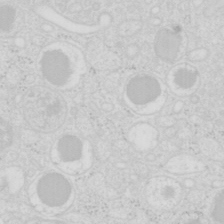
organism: Mouse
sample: Pancreas